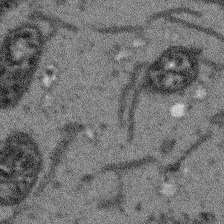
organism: Arabidopsis thaliana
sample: Root tip